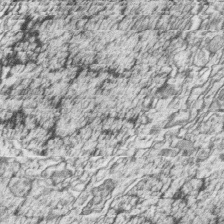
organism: Zebrafish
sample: synaptic ribbons in rod cells and cone cells